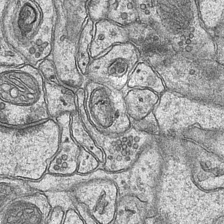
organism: Mouse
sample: CA1 Hippocampus